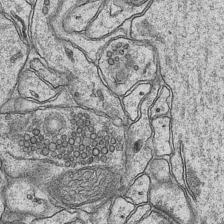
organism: Mouse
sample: CA1 Hippocampus